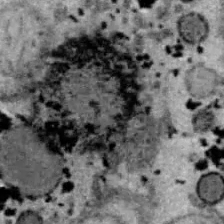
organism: Mouse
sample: Liver from an obese (ob/ob) mouse